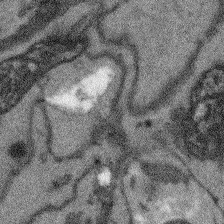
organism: Arabidopsis thaliana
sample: Root tip